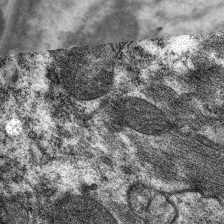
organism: C. elegans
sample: Pharynx